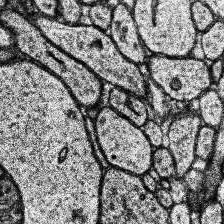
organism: Human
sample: Temporal Lobe